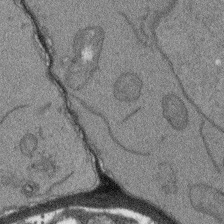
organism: Arabidopsis thaliana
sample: Root tip